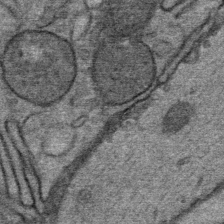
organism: Mouse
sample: Mouse Salivary gland